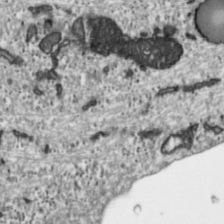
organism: Toxoplasma gondii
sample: Parasites in a vacuole inside a host cell